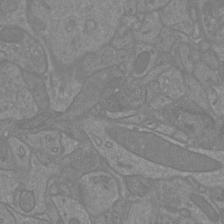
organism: Mouse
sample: Cortical neurons